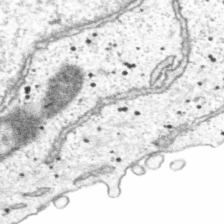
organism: Human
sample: HeLa cells